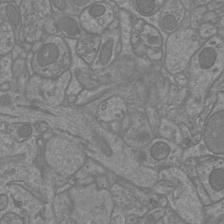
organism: Mouse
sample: Cortical neurons